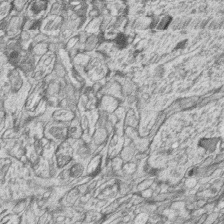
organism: Zebrafish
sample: synaptic ribbons in rod cells and cone cells